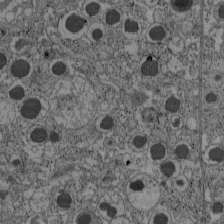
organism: C57BL Mouse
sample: Pancreatic islet